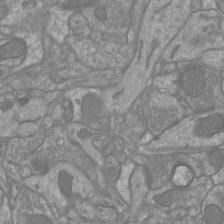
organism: Mouse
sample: Cortical neurons